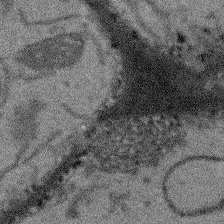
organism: Arabidopsis thaliana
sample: Root tip